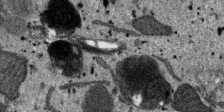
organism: Human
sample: Lung epithelial cells, uninfected (mock) control